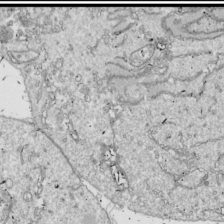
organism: Drosophila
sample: Cell division; meiosis; drosophila spermatocytes